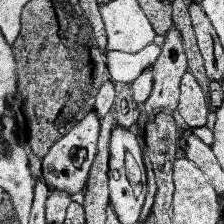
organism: Human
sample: Temporal Lobe